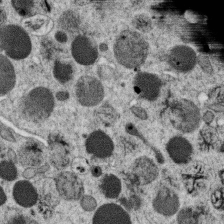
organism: C. elegans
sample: C. elegans oocyte; sperm cells